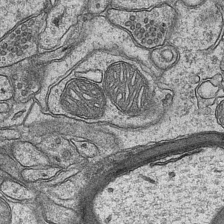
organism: Mouse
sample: CA1 Hippocampus